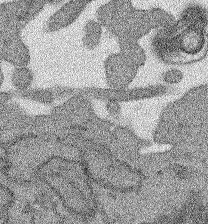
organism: Human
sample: HeLa cells